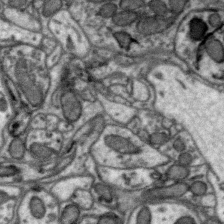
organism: Zebra finch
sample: Brain